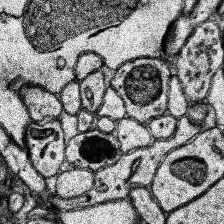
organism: Human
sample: Temporal Lobe